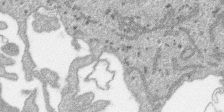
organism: Human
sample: Lung epithelial cells infected with SARS-CoV-2